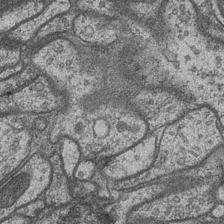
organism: Drosophila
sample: Optic medulla